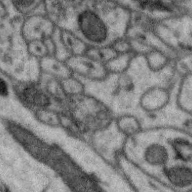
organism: Zebra finch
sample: Brain